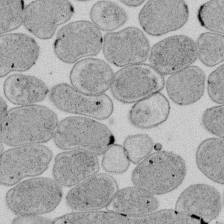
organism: E. coli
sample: Bacterial nucleoid